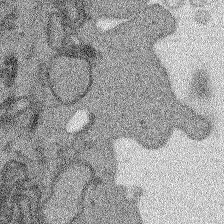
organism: Human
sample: HeLa cells